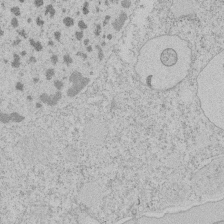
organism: Tetrahymena